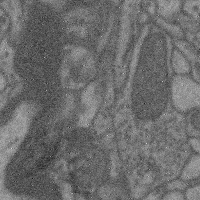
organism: Mouse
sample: Cerebral cortex